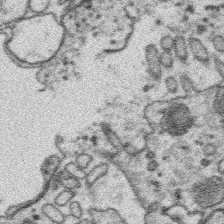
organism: Platynereis dumerilii